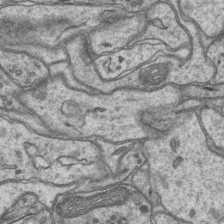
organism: Mouse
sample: CA1 Hippocampus